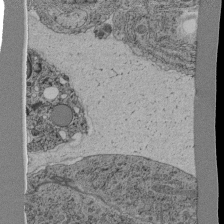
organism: C. elegans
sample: C. elegans pharynx